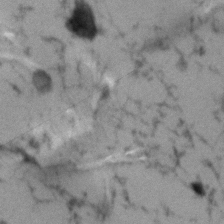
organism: Human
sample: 1205lu cells